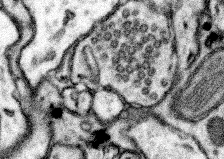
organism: Mouse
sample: Somatosensory cortex neuropil